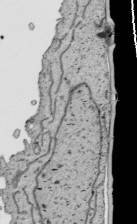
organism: Human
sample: Mitochondria in HCT116 cells